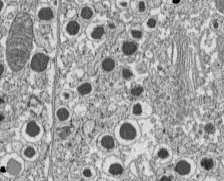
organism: C57BL Mouse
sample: Pancreatic islet